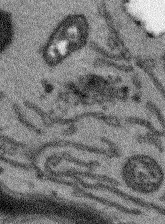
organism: Arabidopsis thaliana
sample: Root tip